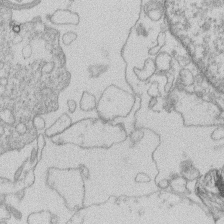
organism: Human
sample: Macrophage cells